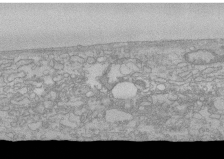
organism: Human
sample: CRL-1474